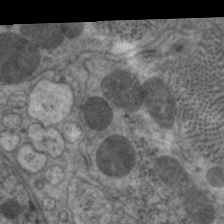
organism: C. elegans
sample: Pharynx